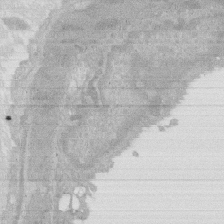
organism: Rat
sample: Salivary granule